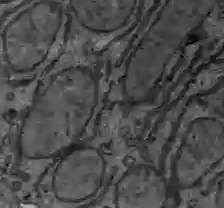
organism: C57BL Mouse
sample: Liver